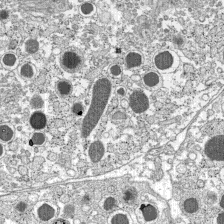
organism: C57BL Mouse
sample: Pancreatic islet